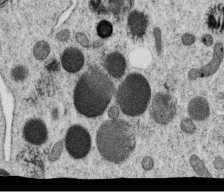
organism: C. elegans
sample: C. elegans oocyte; sperm cells